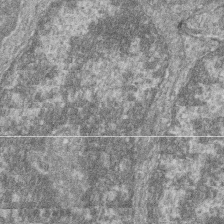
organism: Zebrafish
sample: Cilia; retinal pigment epithelium